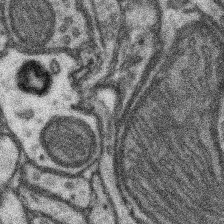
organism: Mouse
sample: Somatosensory cortex neuropil